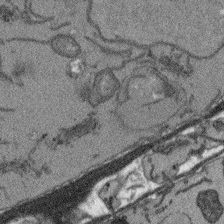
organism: Arabidopsis thaliana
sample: Root tip